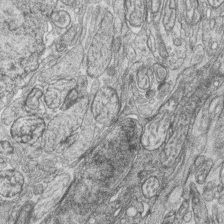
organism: Zebrafish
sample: synaptic ribbons in rod cells and cone cells